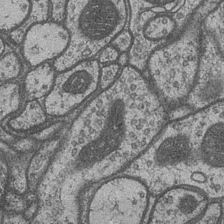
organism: Drosophila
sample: Optic medulla